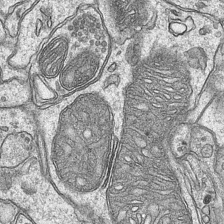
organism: Mouse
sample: CA1 Hippocampus